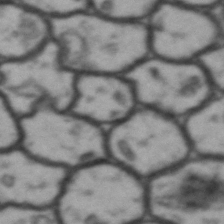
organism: Drosophila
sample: Brain